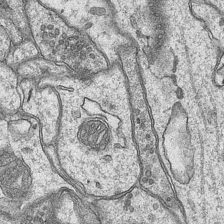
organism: Mouse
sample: CA1 Hippocampus